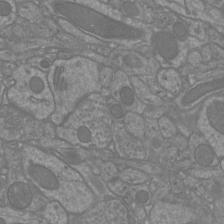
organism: Mouse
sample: Cortical neurons